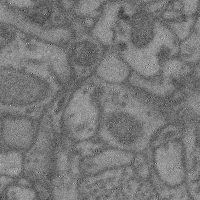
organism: Mouse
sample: Cerebral cortex